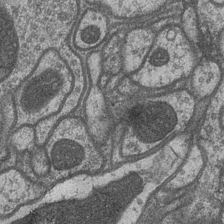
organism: Drosophila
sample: Optic medulla